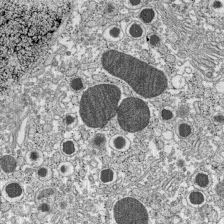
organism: C57BL Mouse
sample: Pancreatic islet